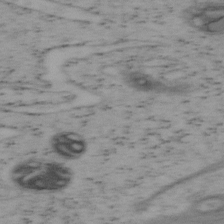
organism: Mouse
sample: OT-I killer T cells with ID8 ovarian cancer cells